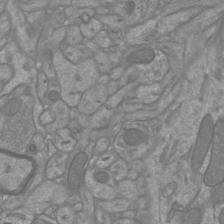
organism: Mouse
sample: Cortical neurons